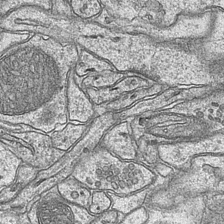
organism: Mouse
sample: CA1 Hippocampus